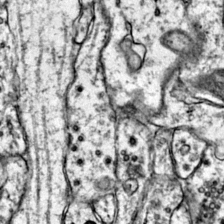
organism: Mouse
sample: Primary visual cortex